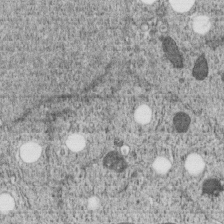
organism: C. elegans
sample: C. elegans embryo early stage